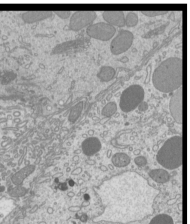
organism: Mouse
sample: Cilia; mouse epididymis